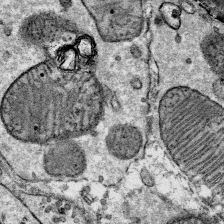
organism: Mouse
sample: Mouse Salivary gland